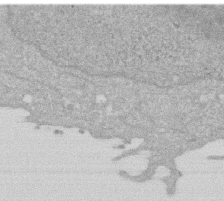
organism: Human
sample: HIV infected U937 cells